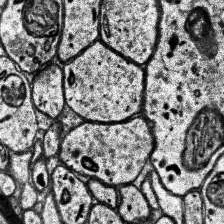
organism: Human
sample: Temporal Lobe